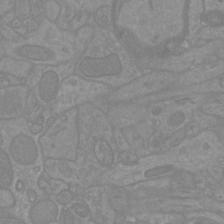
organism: Mouse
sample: Cortical neurons